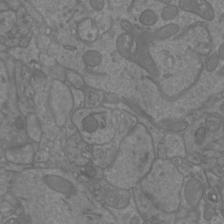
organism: Mouse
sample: Cortical neurons